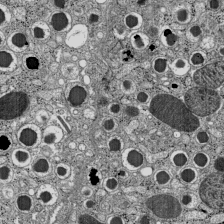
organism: C57BL Mouse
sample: Pancreatic islet